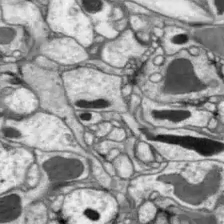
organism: Drosophila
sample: Optic lobe